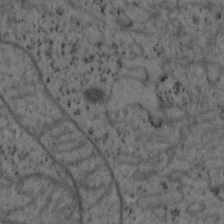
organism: Human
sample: HeLa cells